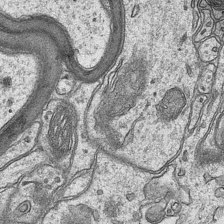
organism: Mouse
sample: CA1 Hippocampus